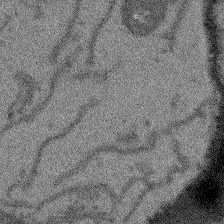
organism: Arabidopsis thaliana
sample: Root tip